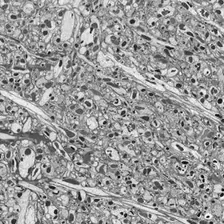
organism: Drosophila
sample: Optic lobe